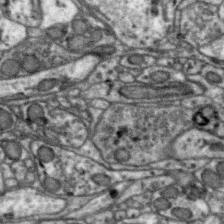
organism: Zebra finch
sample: Brain